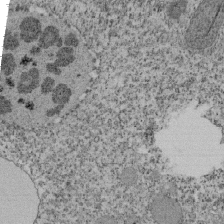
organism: Tetrahymena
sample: Cilia in tetrahymena